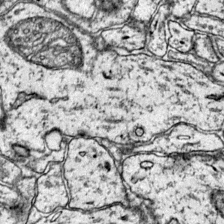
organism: Mouse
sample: Primary visual cortex